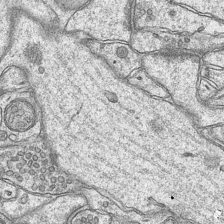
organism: Mouse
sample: CA1 Hippocampus